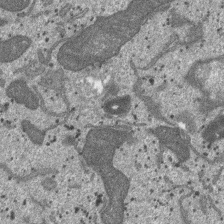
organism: Human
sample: Lung epithelial cells infected with SARS-CoV-2